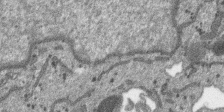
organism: Human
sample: Lung epithelial cells infected with SARS-CoV-2